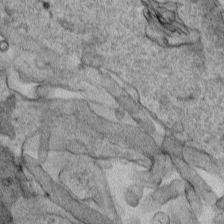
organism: Human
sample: Mitochondria in HCT116 cells